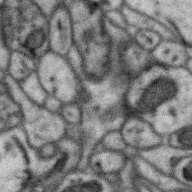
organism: Zebra finch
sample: Brain